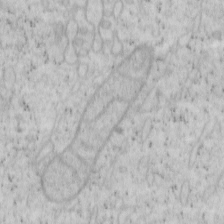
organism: Human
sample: HeLa cells